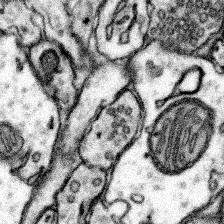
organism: Mouse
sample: Somatosensory cortex neuropil